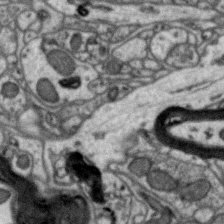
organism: Zebra finch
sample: Brain